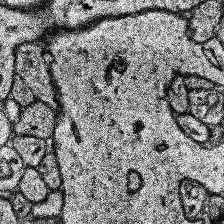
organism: Human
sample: Temporal Lobe